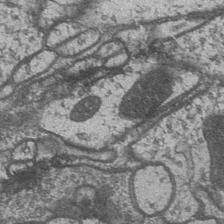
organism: Drosophila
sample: Optic medulla